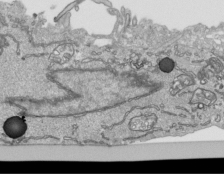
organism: Human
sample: Mitochondria in HCT116 cells